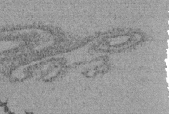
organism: Tetrahymena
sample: Cilia in tetrahymena